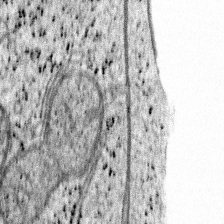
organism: Human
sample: HeLa cells